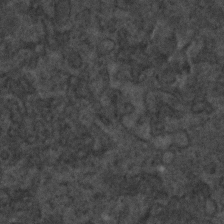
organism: C. elegans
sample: C. elegans embryo